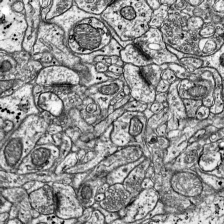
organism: Mouse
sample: Visual Cortex